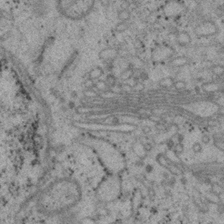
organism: Human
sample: HeLa cells